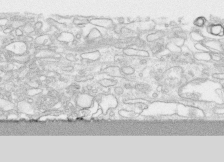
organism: Human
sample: CRL-1474